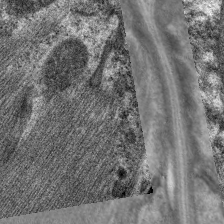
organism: C. elegans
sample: Pharynx